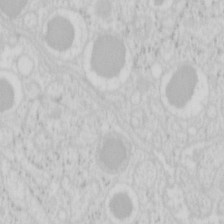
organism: Mouse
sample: Pancreas